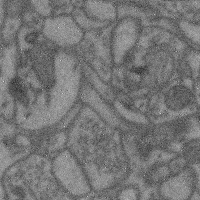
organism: Mouse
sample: Cerebral cortex